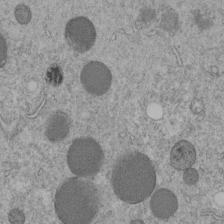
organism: C. elegans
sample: C. elegans embryo early stage